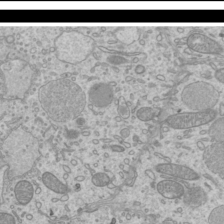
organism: Mouse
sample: Cilia; mouse epididymis